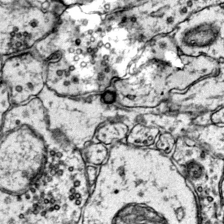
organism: Mouse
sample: Primary visual cortex